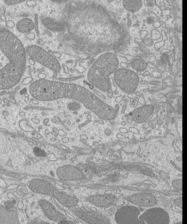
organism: Mouse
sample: Cilia; mouse epididymis